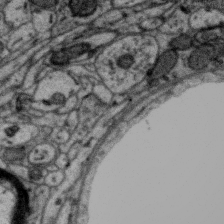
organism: Zebra finch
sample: Brain